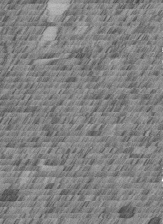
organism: C. elegans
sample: C. elegans embryo early stage